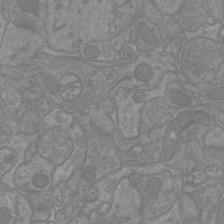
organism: Mouse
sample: Cortical neurons